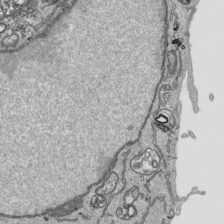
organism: Human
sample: Mitochondria in HCT116 cells